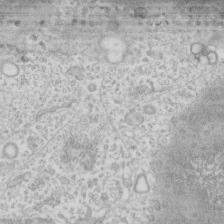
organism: Human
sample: Fibroblast cells